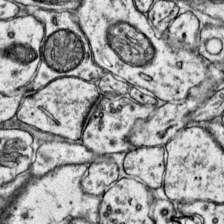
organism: Mouse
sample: Primary visual cortex